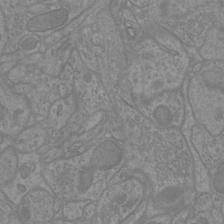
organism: Mouse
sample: Cortical neurons